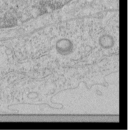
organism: Human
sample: Mitochondria in HCT116 cells